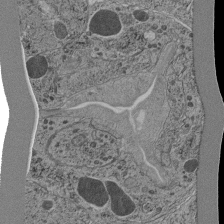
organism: C. elegans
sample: C. elegans pharynx